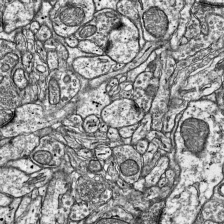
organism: Mouse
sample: Visual Cortex